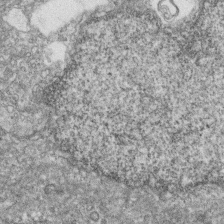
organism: Zebrafish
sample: Cilia; retinal pigment epithelium